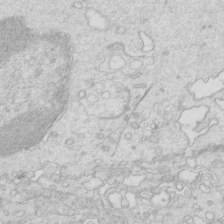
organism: Mouse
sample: Multiciliated cells